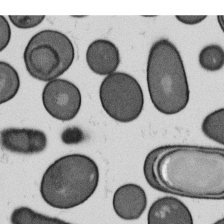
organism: B. subtilis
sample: Bacterial spore